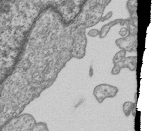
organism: Human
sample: MDA-MB-231 cells